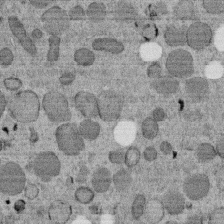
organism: C. elegans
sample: C. elegans embryo early stage